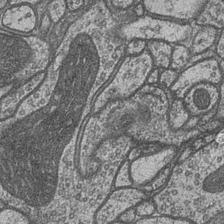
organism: Drosophila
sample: Optic medulla